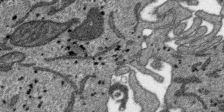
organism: Human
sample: Lung epithelial cells, uninfected (mock) control